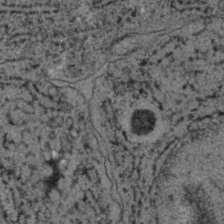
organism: C. elegans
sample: C. elegans embryo